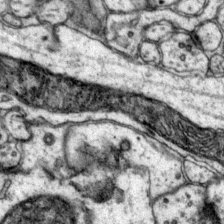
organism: Mouse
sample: Primary visual cortex